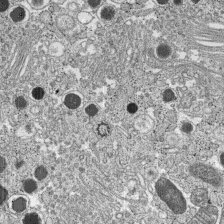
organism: C57BL Mouse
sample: Pancreatic islet